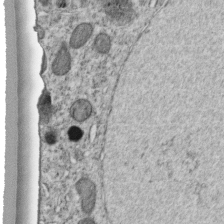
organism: C. elegans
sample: C. elegans embryo early stage